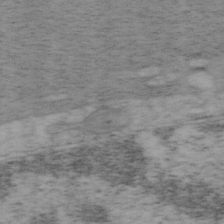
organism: Mouse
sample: OT-I killer T cells with ID8 ovarian cancer cells